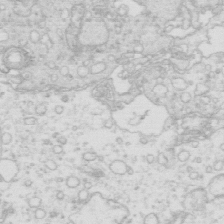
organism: Mouse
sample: Multiciliated cells